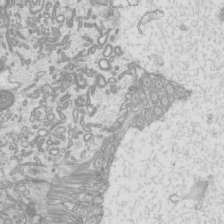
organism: Mouse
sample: Cilia; mouse epididymis